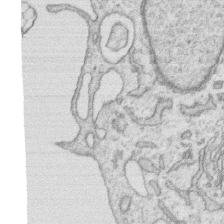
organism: Human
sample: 1205lu cells